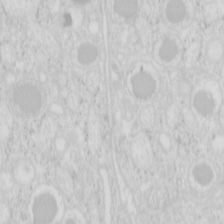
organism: Mouse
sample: Pancreas